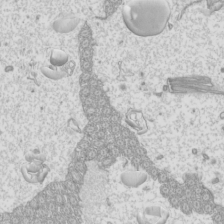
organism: Mouse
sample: Cilia; mouse epididymis